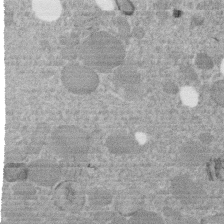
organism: C. elegans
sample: C. elegans embryo early stage